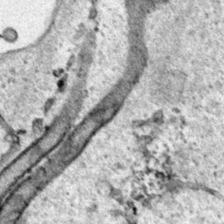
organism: Human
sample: Mitochondria in HCT116 cells